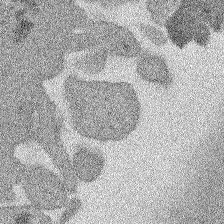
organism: Human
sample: HeLa cells